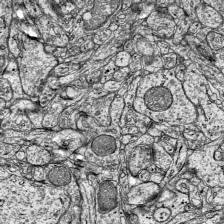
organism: Mouse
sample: Visual Cortex